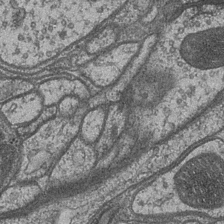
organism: Drosophila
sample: Optic medulla